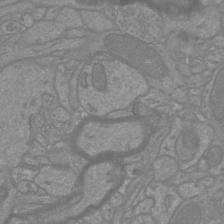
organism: Mouse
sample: Cortical neurons